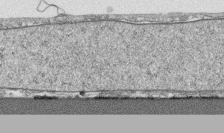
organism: Human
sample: CRL-1474